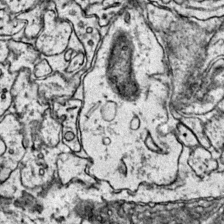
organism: Mouse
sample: Primary visual cortex